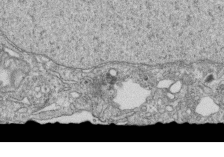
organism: Human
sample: HeLa cell HIV synapse